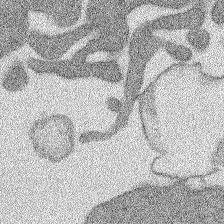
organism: Human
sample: HeLa cells